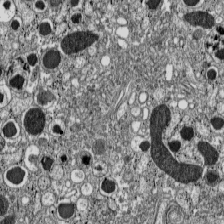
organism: C57BL Mouse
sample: Pancreatic islet